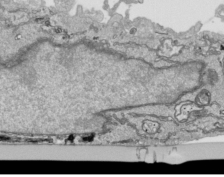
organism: Human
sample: Mitochondria in HCT116 cells